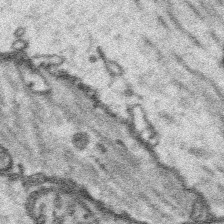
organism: Platynereis dumerilii